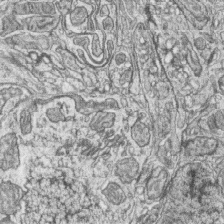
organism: Zebrafish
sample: synaptic ribbons in rod cells and cone cells